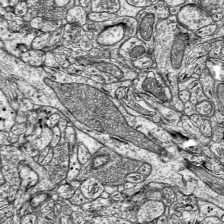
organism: Mouse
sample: Visual Cortex